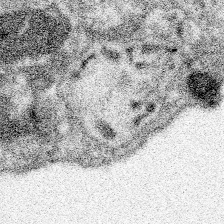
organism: Spongilla lacustris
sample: Neuroid cell